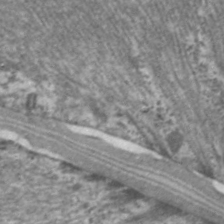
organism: C. elegans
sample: Pharynx